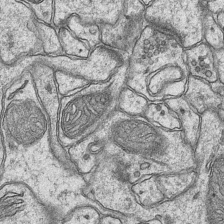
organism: Mouse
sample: CA1 Hippocampus